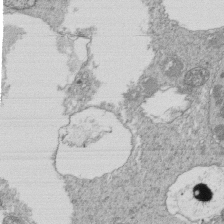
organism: Tetrahymena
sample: Cilia in tetrahymena